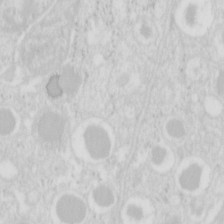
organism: Mouse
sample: Pancreas